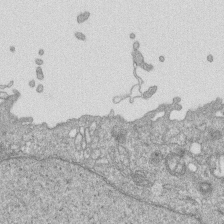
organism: Human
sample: HeLa cell HIV synapse